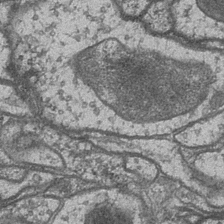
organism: Drosophila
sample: Optic medulla